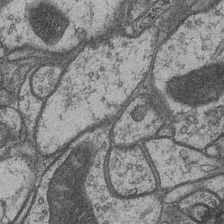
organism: Drosophila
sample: Optic medulla